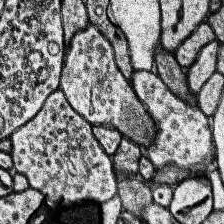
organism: Human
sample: Temporal Lobe